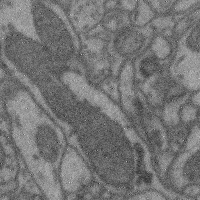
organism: Mouse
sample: Cerebral cortex